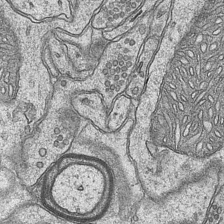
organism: Mouse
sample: CA1 Hippocampus